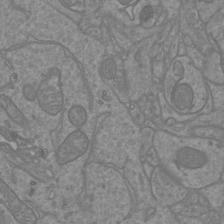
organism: Mouse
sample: Cortical neurons